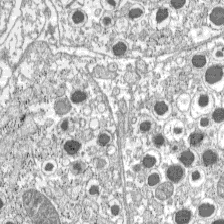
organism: C57BL Mouse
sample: Pancreatic islet